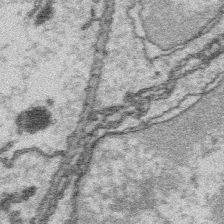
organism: Platynereis dumerilii